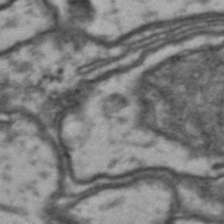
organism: Drosophila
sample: Brain